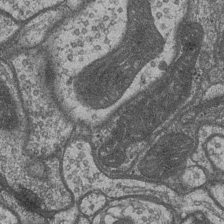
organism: Drosophila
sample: Optic medulla